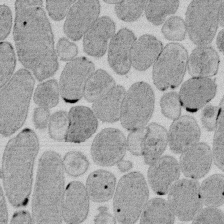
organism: E. coli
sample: Bacterial nucleoid